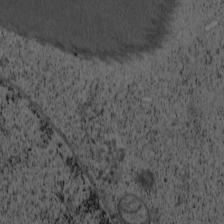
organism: African green monkey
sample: COS-7 cells